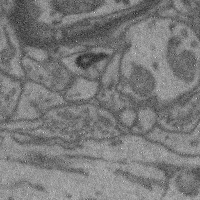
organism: Mouse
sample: Cerebral cortex